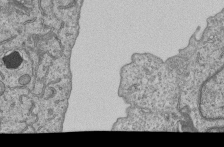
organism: Human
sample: MDA-MB-231 cells